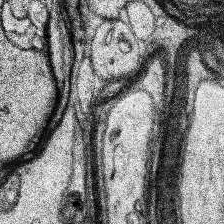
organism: Human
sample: Temporal Lobe